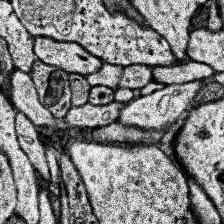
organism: Human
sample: Temporal Lobe